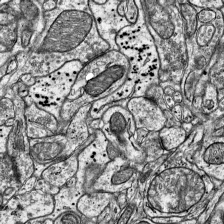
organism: Mouse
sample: Visual Cortex